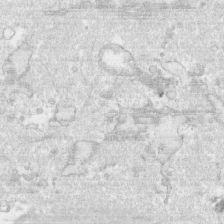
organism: Human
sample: CRL-1474